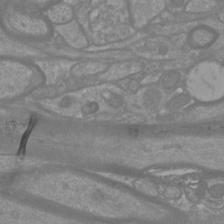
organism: Mouse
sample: Cortical neurons